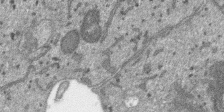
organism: Human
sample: Lung epithelial cells infected with SARS-CoV-2